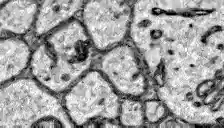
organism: Zebrafish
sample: Brain